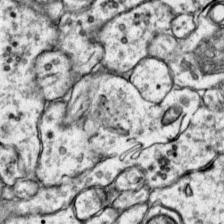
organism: Mouse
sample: Primary visual cortex